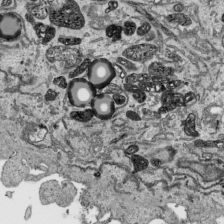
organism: Human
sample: Mitochondria in HCT116 cells